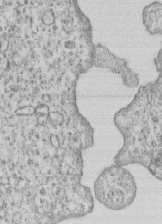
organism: Human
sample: MDA-MB-231 cells